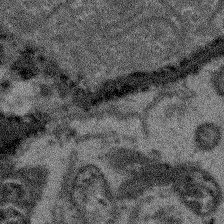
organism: Arabidopsis thaliana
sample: Root tip